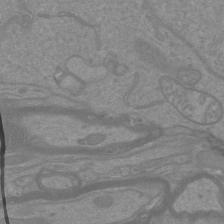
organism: Mouse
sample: Cortical neurons